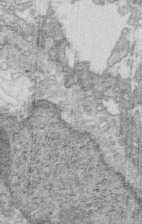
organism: Mouse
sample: Multiciliated cells